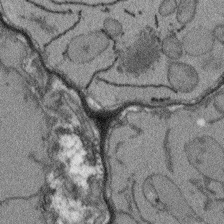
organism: Arabidopsis thaliana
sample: Root tip